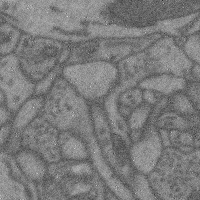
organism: Mouse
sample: Cerebral cortex